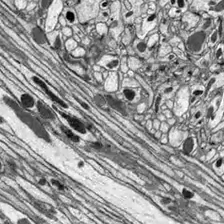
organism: Drosophila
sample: Optic lobe